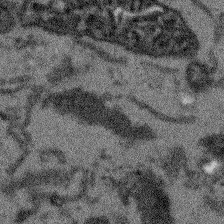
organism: Arabidopsis thaliana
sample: Root tip